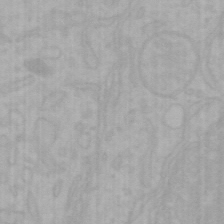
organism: Mouse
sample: Choroid plexus